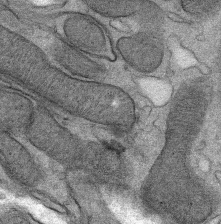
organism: Mouse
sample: Mouse Salivary gland